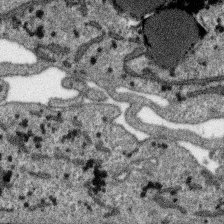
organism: Human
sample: Lung epithelial cells infected with SARS-CoV-2